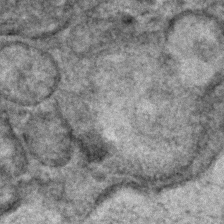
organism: C. elegans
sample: C. elegans embryo